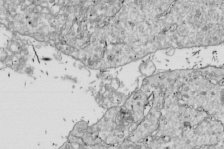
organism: Drosophila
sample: Cell division; meiosis; drosophila spermatocytes